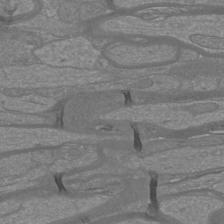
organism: Mouse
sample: Cortical neurons